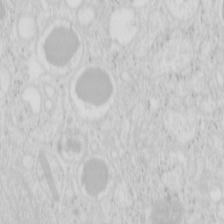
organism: Mouse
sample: Pancreas